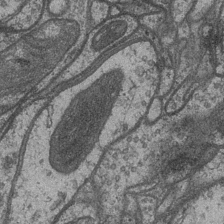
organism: Drosophila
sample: Optic medulla